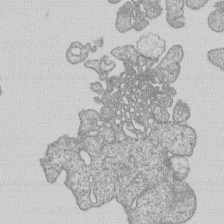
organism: Human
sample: MDA-MB-231 cells